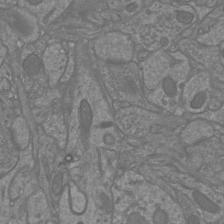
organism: Mouse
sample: Cortical neurons